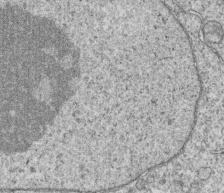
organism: Human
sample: HeLa cell HIV synapse